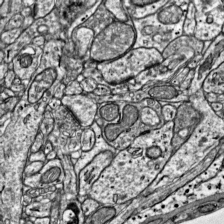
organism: Mouse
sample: Visual Cortex